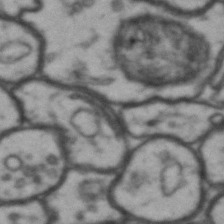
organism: Drosophila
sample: Brain